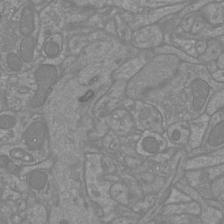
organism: Mouse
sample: Cortical neurons